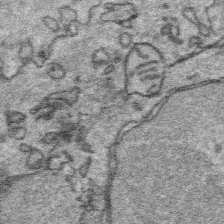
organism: Platynereis dumerilii